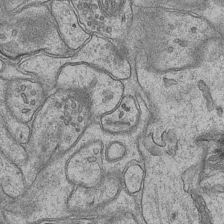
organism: Mouse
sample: CA1 Hippocampus